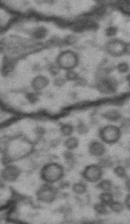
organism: Drosophila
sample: Brain